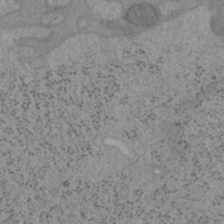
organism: Mouse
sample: OT-I killer T cells with ID8 ovarian cancer cells